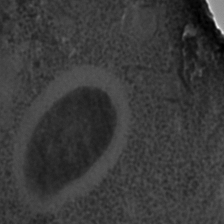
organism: C. elegans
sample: C. elegans embryo